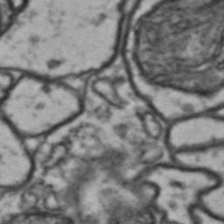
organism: Drosophila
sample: Brain